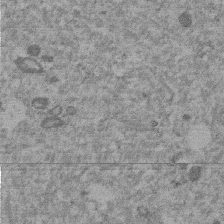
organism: Mouse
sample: Dividing mouse embryo 1 cell stage